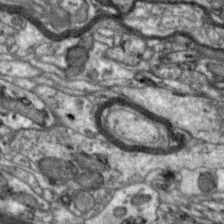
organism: Zebra finch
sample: Brain